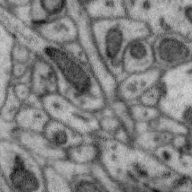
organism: Zebra finch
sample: Brain